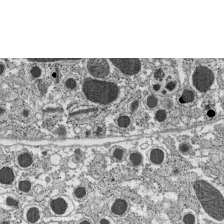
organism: C57BL Mouse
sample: Pancreatic islet